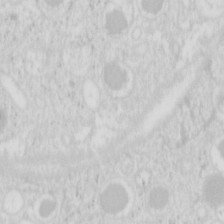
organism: Mouse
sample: Pancreas